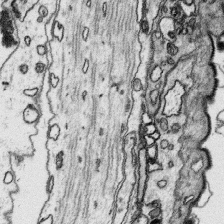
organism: Platynereis dumerilii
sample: Parapodia